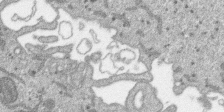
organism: Human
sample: Lung epithelial cells infected with SARS-CoV-2